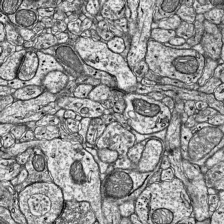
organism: Mouse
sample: Visual Cortex